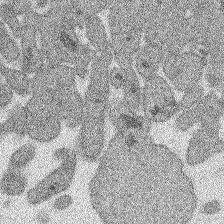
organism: Human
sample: HeLa cells